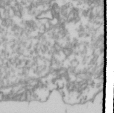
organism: Drosophila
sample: Cell division; meiosis; drosophila spermatocytes